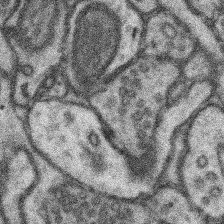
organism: Mouse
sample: Somatosensory cortex neuropil